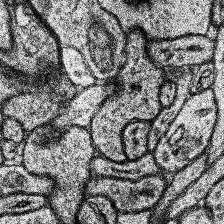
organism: Human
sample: Temporal Lobe